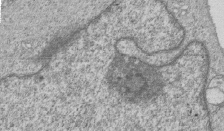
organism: Human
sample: MDA-MB-231 cells